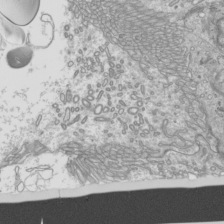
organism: Mouse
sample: Cilia; mouse epididymis